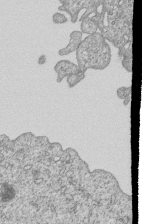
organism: Human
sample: MDA-MB-231 cells